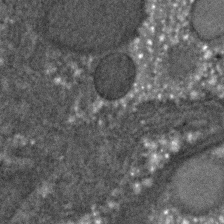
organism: C. elegans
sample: C. elegans embryo